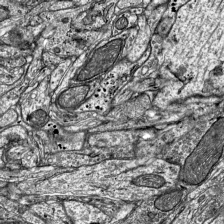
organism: Mouse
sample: Visual Cortex